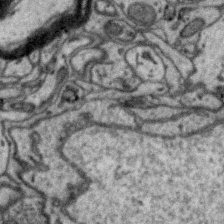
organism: Zebra finch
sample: Brain